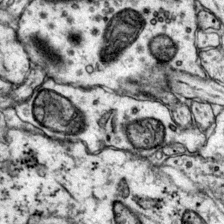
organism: Mouse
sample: Primary visual cortex